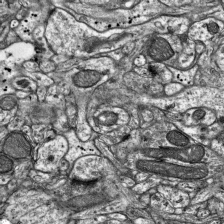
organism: Mouse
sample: Visual Cortex